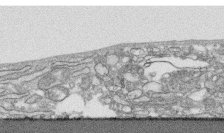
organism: Human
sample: CRL-1474